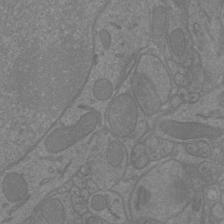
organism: Mouse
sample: Cortical neurons